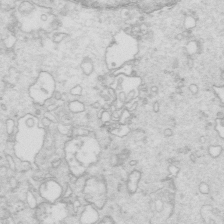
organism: Mouse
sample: Multiciliated cells